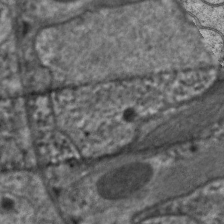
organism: C. elegans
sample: Pharynx